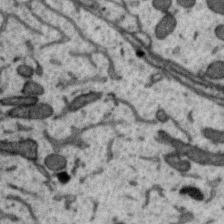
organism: Zebra finch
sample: Brain